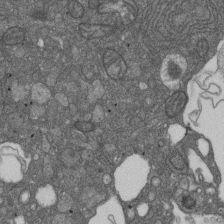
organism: Drosophila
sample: Nephrocyte